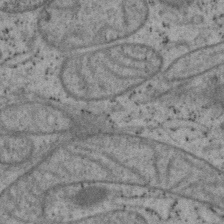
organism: Human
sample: HeLa cells